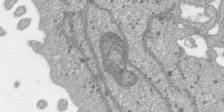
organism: Human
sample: Lung epithelial cells infected with SARS-CoV-2